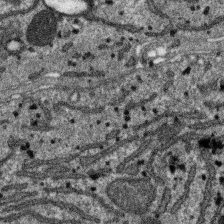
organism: Human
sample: Lung epithelial cells infected with SARS-CoV-2